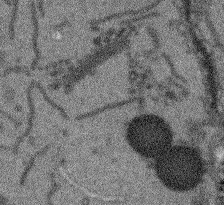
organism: Arabidopsis thaliana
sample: Root tip